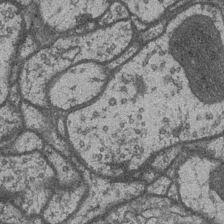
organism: Drosophila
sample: Optic medulla